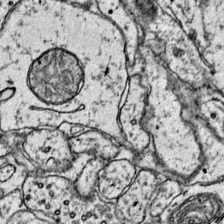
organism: Mouse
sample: Primary visual cortex